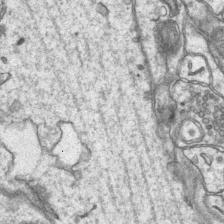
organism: Mouse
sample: CA1 Hippocampus